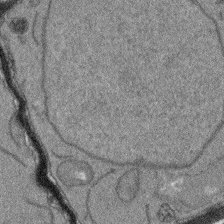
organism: Arabidopsis thaliana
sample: Root tip